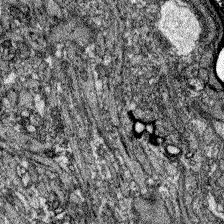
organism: Zebrafish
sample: Larval olfactory bulb